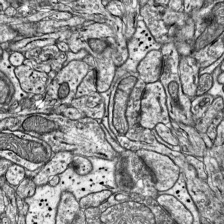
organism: Mouse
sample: Visual Cortex